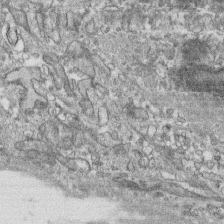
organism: Human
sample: CRL-1474